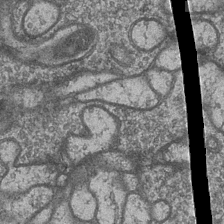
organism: Drosophila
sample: Optic medulla